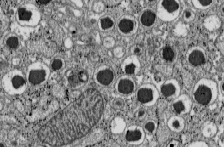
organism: C57BL Mouse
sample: Pancreatic islet